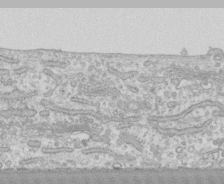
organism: Human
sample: CRL-1474